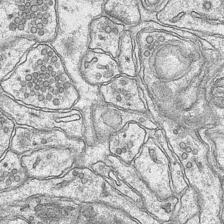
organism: Mouse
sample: CA1 Hippocampus